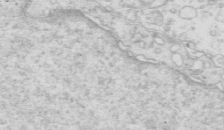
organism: Mouse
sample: Multiciliated cells